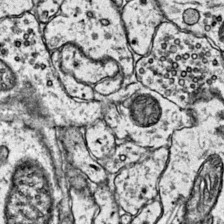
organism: Mouse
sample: Primary visual cortex